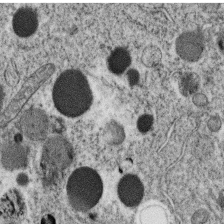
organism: C. elegans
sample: C. elegans oocyte; sperm cells